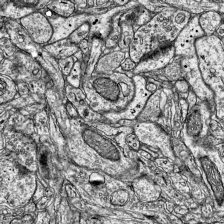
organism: Mouse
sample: Visual Cortex